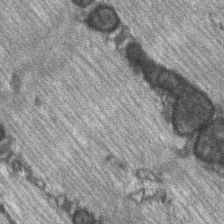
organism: C57BL Mouse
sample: Soleus